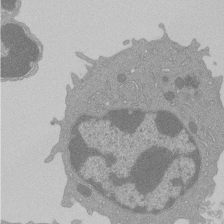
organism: Mouse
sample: Activated Pmel transgenic CD8+ T Cells